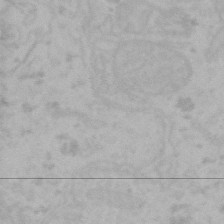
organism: Mouse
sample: Choroid plexus